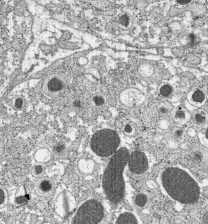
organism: C57BL Mouse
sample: Pancreatic islet